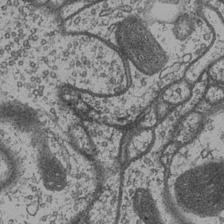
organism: Drosophila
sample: Optic medulla